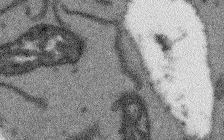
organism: Arabidopsis thaliana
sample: Root tip